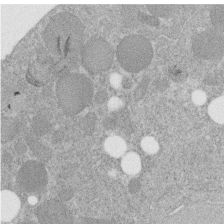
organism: C. elegans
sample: C. elegans embryo early stage